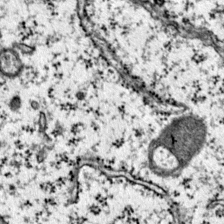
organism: Mouse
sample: Primary visual cortex